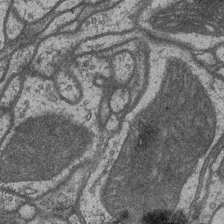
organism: Drosophila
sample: Optic medulla